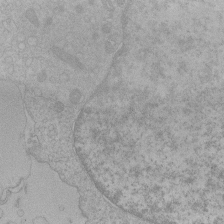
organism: Human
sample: Macrophage cells